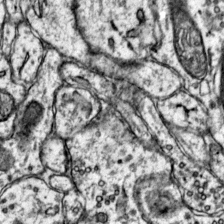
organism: Mouse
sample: Primary visual cortex